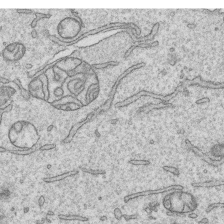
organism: Human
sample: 1205lu cells